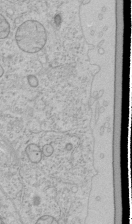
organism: Human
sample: Mitochondria in HCT116 cells